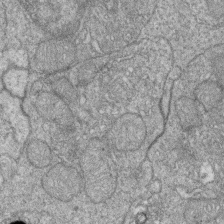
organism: Zebrafish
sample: Cilia; retinal pigment epithelium